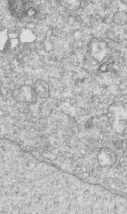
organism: Human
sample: HeLa cell HIV synapse